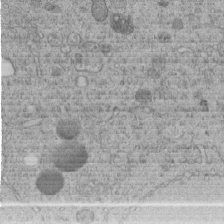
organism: C. elegans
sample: C. elegans embryo early stage